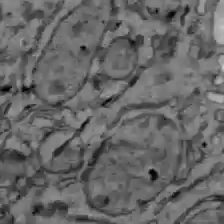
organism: C57BL Mouse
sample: Liver